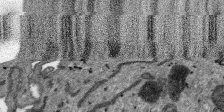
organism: Human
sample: Lung epithelial cells, uninfected (mock) control